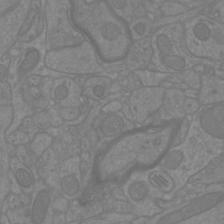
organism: Mouse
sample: Cortical neurons